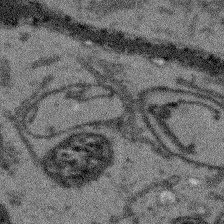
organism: Arabidopsis thaliana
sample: Root tip